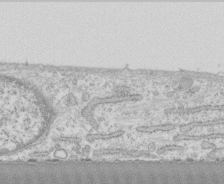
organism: Human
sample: CRL-1474